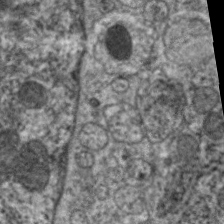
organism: C. elegans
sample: Pharynx